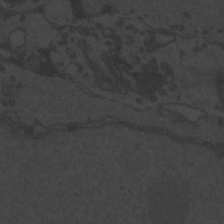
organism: Zebrafish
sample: Macrophage infected with Toxoplasma gondii